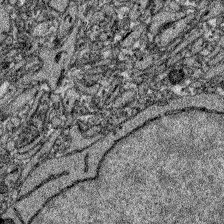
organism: Zebrafish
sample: Larval olfactory bulb